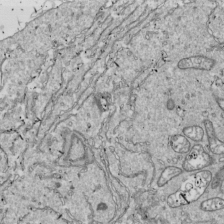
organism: Drosophila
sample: Cell division; meiosis; drosophila spermatocytes